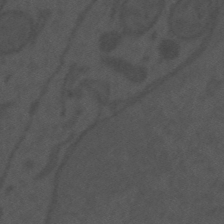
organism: Mouse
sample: Suprachiasmatic nucleus